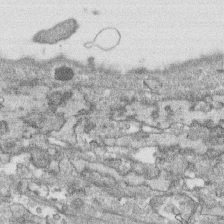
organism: Human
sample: CRL-1474